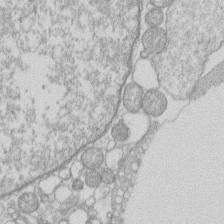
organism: Human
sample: Macrophage cells